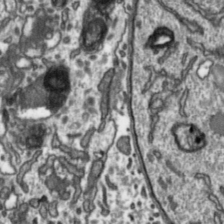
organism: Toxoplasma gondii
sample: Parasites in a vacuole inside a host cell